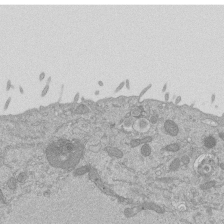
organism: Mouse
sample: ED-1 cell nuclei; centrioles